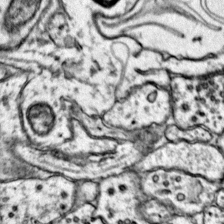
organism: Mouse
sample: Primary visual cortex